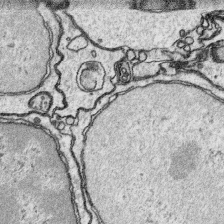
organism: Platynereis dumerilii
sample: Parapodia